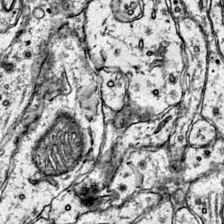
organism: Mouse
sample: Primary visual cortex